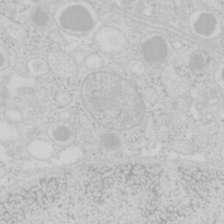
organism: Mouse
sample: Pancreas